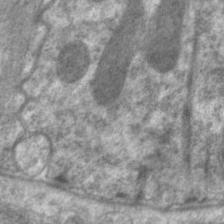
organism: C. elegans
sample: Pharynx